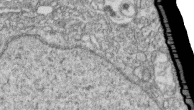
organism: Human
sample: HeLa cell HIV synapse